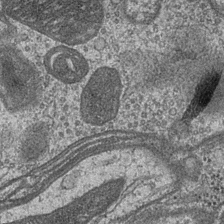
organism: Drosophila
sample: Optic medulla